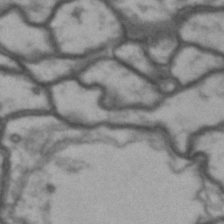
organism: Drosophila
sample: Brain